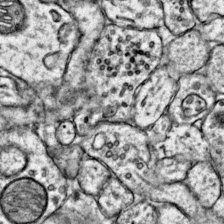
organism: Mouse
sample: Primary visual cortex